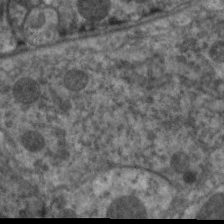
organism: C. elegans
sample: Pharynx